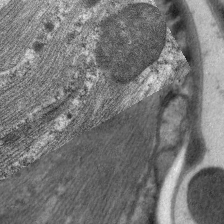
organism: C. elegans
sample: Pharynx